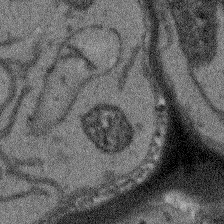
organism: Arabidopsis thaliana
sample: Root tip